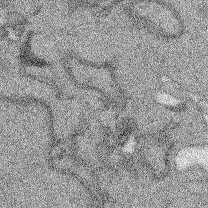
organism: Human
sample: HeLa cells